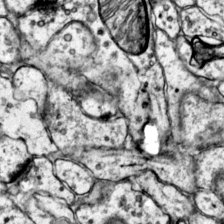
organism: Mouse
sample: Primary visual cortex